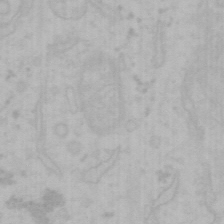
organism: Mouse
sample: Choroid plexus